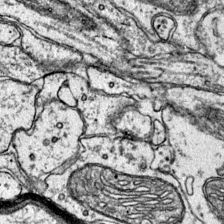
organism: Mouse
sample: Primary visual cortex